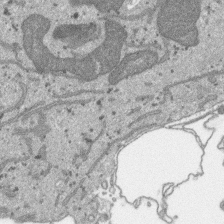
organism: Human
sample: Lung epithelial cells infected with SARS-CoV-2